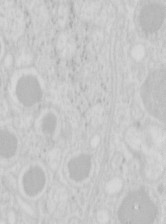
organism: Mouse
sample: Pancreas